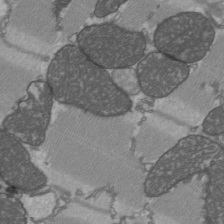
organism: C57BL Mouse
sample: Heart